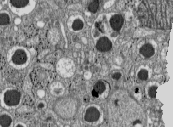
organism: C57BL Mouse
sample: Pancreatic islet